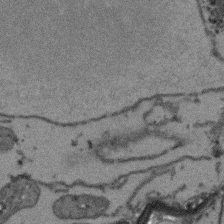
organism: Arabidopsis thaliana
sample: Root tip